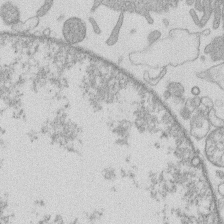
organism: Human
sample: Macrophage cells